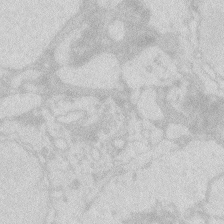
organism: Zebrafish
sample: Macrophage